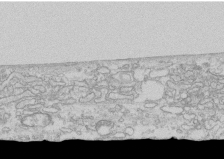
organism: Human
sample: CRL-1474